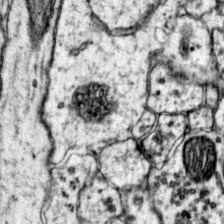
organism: Mouse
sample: Primary visual cortex